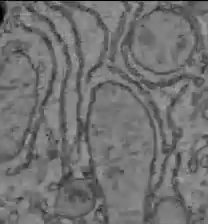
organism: C57BL Mouse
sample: Liver